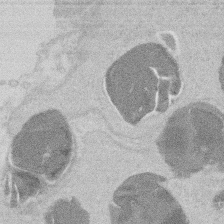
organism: Mouse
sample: T cell stromal cell synapse